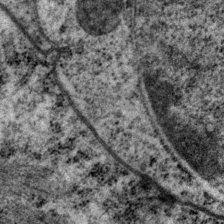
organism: P. pacificus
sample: Pharynx